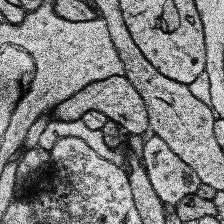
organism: Human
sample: Temporal Lobe